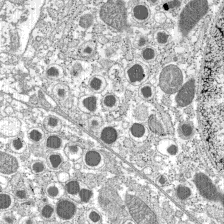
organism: C57BL Mouse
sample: Pancreatic islet